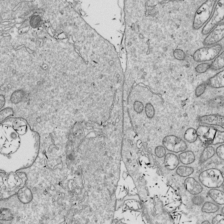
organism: Drosophila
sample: Cell division; meiosis; drosophila spermatocytes